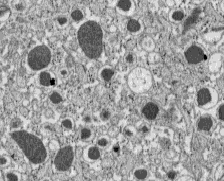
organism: C57BL Mouse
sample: Pancreatic islet